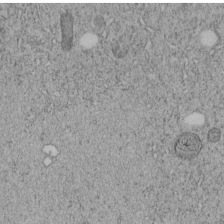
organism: C. elegans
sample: C. elegans embryo early stage